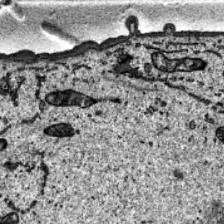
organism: Human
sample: HeLa cells